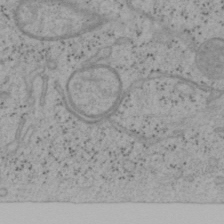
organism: Human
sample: HeLa cells